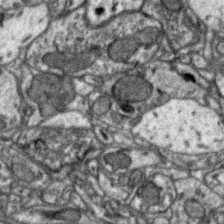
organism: Zebra finch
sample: Brain